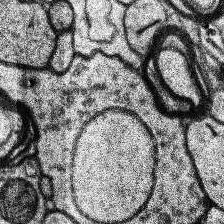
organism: Human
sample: Temporal Lobe